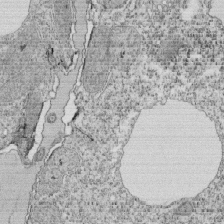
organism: Tetrahymena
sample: Cilia in tetrahymena